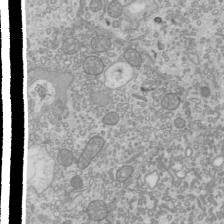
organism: Mouse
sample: Cilia; mouse epididymis